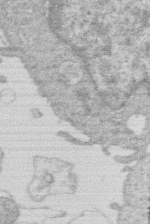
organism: Human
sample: Macrophage cells